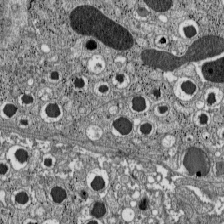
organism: C57BL Mouse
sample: Pancreatic islet